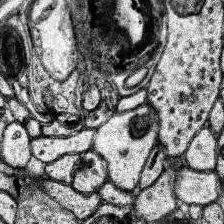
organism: Human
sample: Temporal Lobe